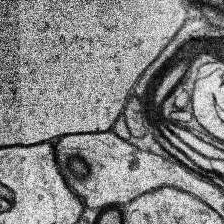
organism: Human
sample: Temporal Lobe